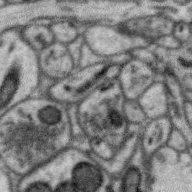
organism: Zebra finch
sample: Brain